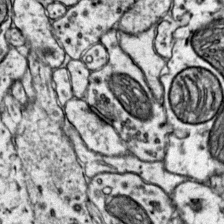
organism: Mouse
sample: Primary visual cortex